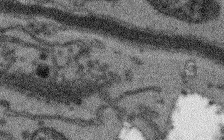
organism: Arabidopsis thaliana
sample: Root tip